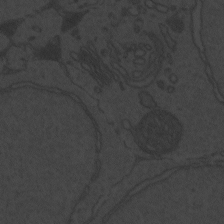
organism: Zebrafish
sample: Macrophage infected with Toxoplasma gondii